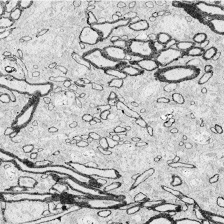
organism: Zebrafish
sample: Whole-Brain